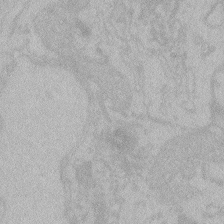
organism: Zebrafish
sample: Macrophage infected with Toxoplasma gondii